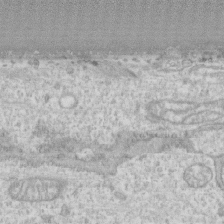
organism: Human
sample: CRL-1474